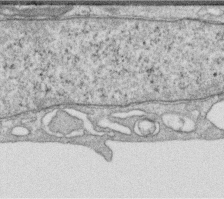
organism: Human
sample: Centriole in RPE cells